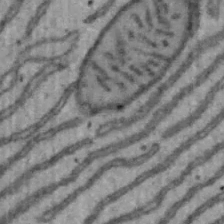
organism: Mouse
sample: Liver